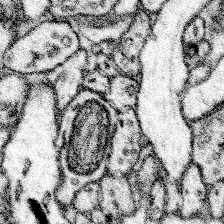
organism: Mouse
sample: Somatosensory cortex neuropil